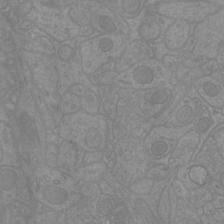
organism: Mouse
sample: Cortical neurons